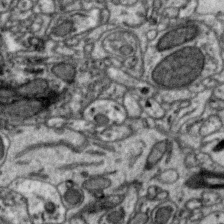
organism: Zebra finch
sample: Brain